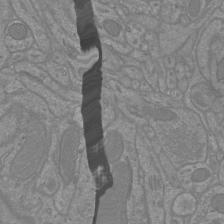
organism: Mouse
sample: Cortical neurons